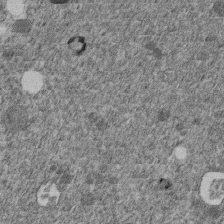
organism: C. elegans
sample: C. elegans embryo early stage